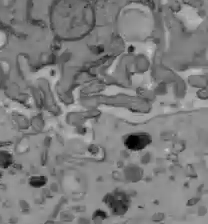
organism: C57BL Mouse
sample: Liver